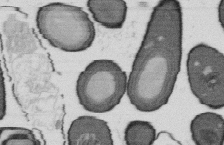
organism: B. subtilis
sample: Bacterial spore